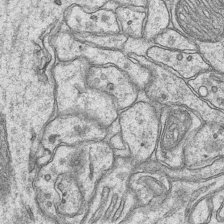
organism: Mouse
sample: CA1 Hippocampus